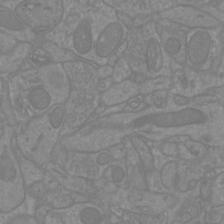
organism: Mouse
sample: Cortical neurons